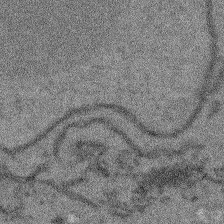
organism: Arabidopsis thaliana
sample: Root tip